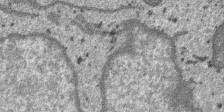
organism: Human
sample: Lung epithelial cells infected with SARS-CoV-2